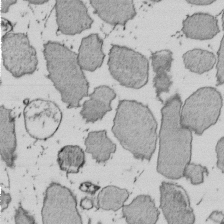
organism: E. coli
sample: Bacterial nucleoid